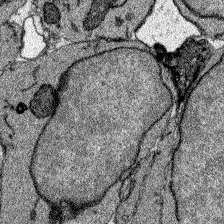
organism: Zebrafish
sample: Larval olfactory bulb